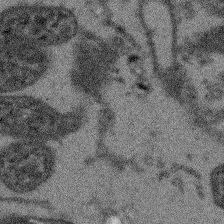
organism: Arabidopsis thaliana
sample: Root tip